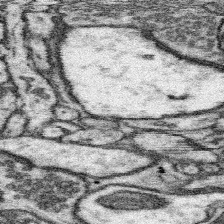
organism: Mouse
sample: Somatosensory cortex neuropil